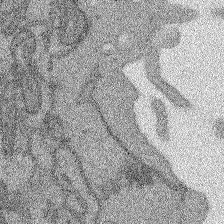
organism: Human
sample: HeLa cells